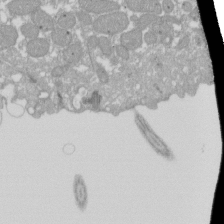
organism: Xenopus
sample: Cilia; centrioles in frog embryo cells